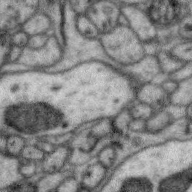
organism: Zebra finch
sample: Brain